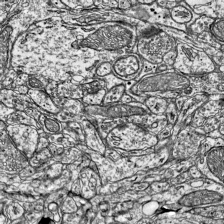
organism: Mouse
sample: Visual Cortex